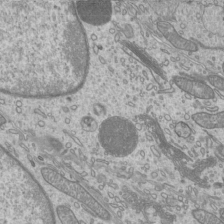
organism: Mouse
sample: Cilia; mouse epididymis